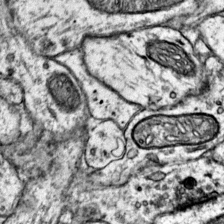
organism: Mouse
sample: Primary visual cortex